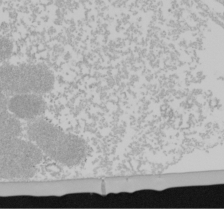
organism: Mouse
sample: Cancer cell death in ED-1 cells